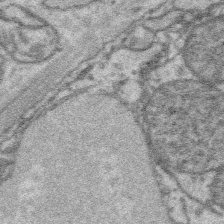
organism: Platynereis dumerilii